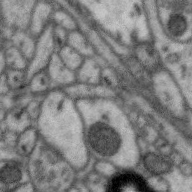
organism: Zebra finch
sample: Brain